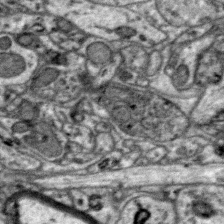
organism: Zebra finch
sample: Brain